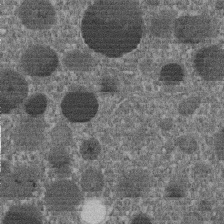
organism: C. elegans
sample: C. elegans embryo early stage